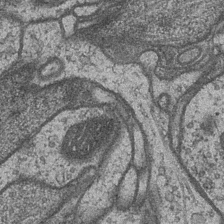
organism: Drosophila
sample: Optic medulla